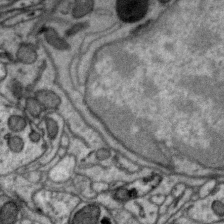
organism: Zebra finch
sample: Brain